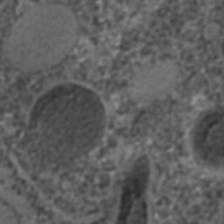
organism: C. elegans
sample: C. elegans embryo